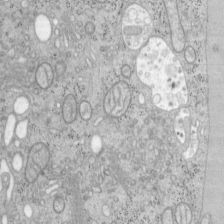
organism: Mouse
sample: OT-I killer T cells with ID8 ovarian cancer cells